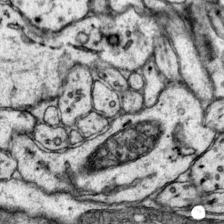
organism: Mouse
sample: Primary visual cortex